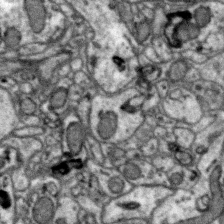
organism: Zebra finch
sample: Brain